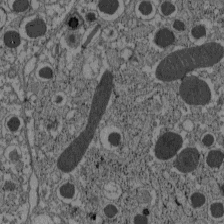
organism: C57BL Mouse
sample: Pancreatic islet